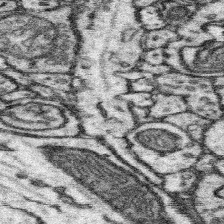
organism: Mouse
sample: Somatosensory cortex neuropil